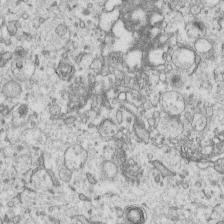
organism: Human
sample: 1205lu cells